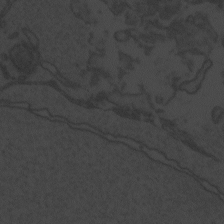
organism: Zebrafish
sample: Macrophage infected with Toxoplasma gondii